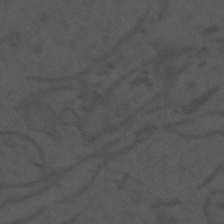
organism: Mouse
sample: Suprachiasmatic nucleus